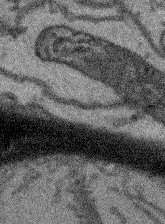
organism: Arabidopsis thaliana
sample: Root tip